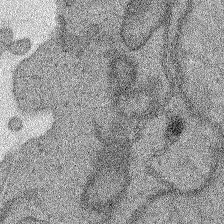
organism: Human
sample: HeLa cells